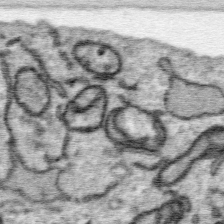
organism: Human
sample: HeLa cells